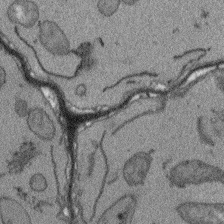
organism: Arabidopsis thaliana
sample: Root tip